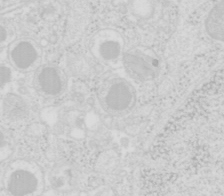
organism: Mouse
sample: Pancreas